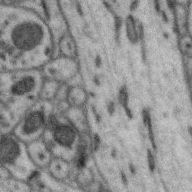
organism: Zebra finch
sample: Brain